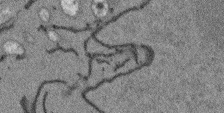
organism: Arabidopsis thaliana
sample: Root tip